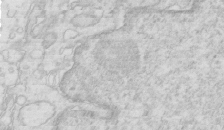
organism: Mouse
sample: Multiciliated cells